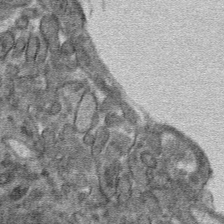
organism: Mouse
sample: Mouse hepatocytes